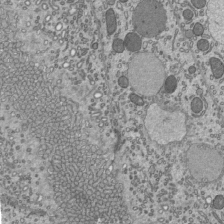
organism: Mouse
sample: Mouse epididymis efferent ductule cilia